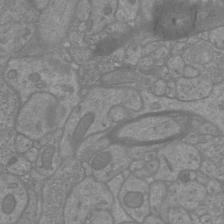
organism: Mouse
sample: Cortical neurons